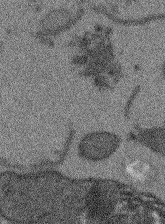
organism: Arabidopsis thaliana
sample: Root tip